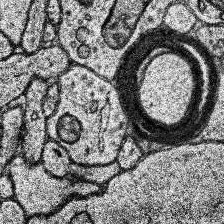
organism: Human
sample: Temporal Lobe